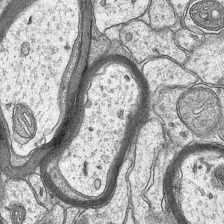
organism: Mouse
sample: CA1 Hippocampus